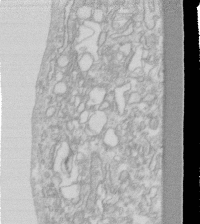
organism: Human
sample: Fibroblast cells